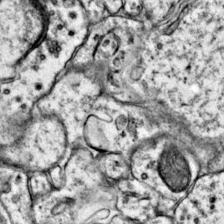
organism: Mouse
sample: Primary visual cortex